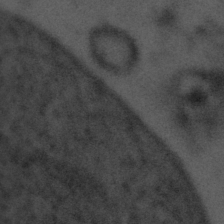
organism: Tuwongella immobilis